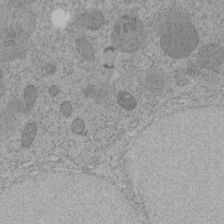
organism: C. elegans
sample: C. elegans embryo early stage